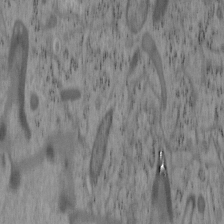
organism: Human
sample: HeLa cells